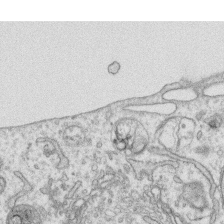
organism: Human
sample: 1205lu cells